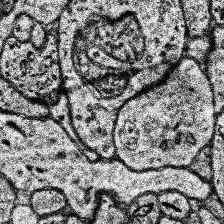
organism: Human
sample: Temporal Lobe